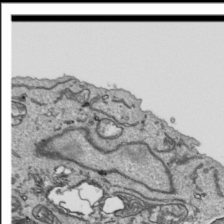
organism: Human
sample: Mitochondria in HCT116 cells